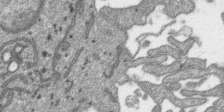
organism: Human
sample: Lung epithelial cells infected with SARS-CoV-2